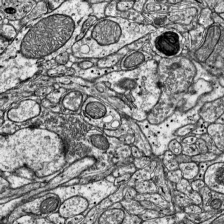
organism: Mouse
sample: Visual Cortex